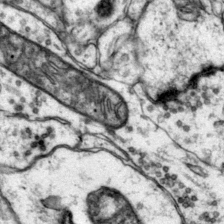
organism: Mouse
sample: Primary visual cortex